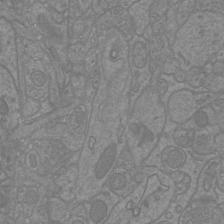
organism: Mouse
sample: Cortical neurons